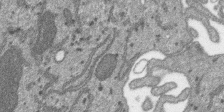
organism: Human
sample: Lung epithelial cells infected with SARS-CoV-2